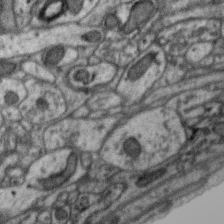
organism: Zebra finch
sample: Brain